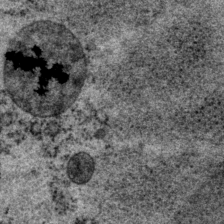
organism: P. pacificus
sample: Pharynx